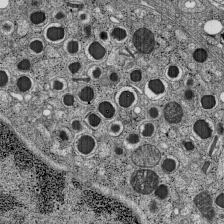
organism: C57BL Mouse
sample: Pancreatic islet